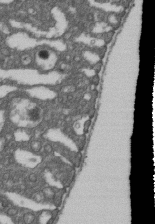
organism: Drosophila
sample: Nephrocyte